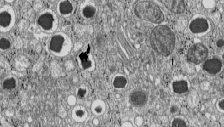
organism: C57BL Mouse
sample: Pancreatic islet